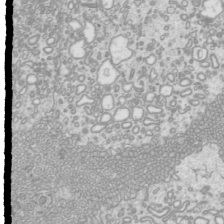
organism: Mouse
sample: Cilia; mouse epididymis